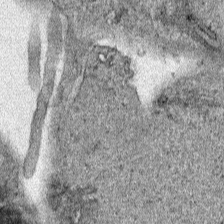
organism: Human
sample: Mitochondria in HCT116 cells